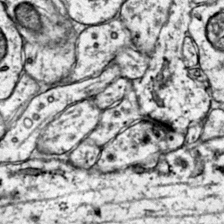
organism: Mouse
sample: Primary visual cortex